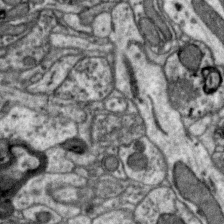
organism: Zebra finch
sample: Brain